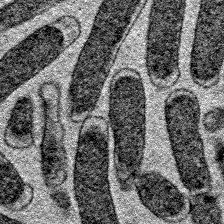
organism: E. coli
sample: E. Coli Bacteria